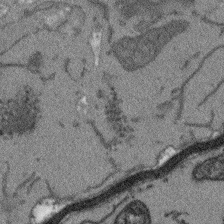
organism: Arabidopsis thaliana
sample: Root tip